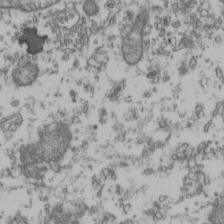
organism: Human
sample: Activated Jurkat CD4+ T cells